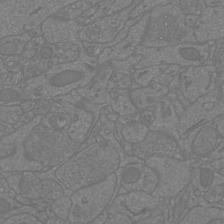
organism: Mouse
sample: Cortical neurons